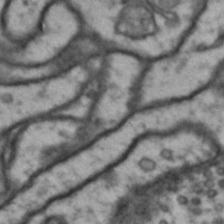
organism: Drosophila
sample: Brain